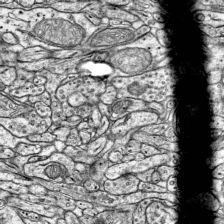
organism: Mouse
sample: Visual Cortex